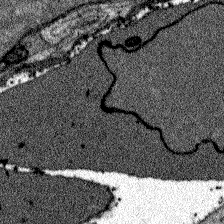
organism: Zebrafish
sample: Larval olfactory bulb